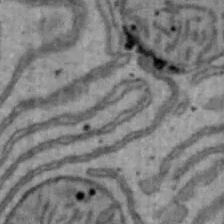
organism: Mouse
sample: Liver